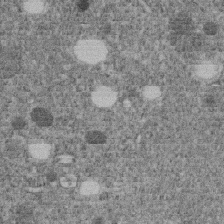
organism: C. elegans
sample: C. elegans embryo early stage